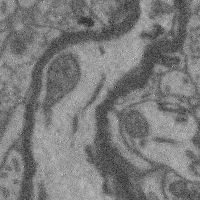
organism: Mouse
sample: Cerebral cortex